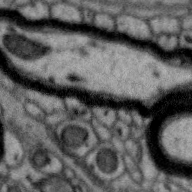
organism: Zebra finch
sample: Brain